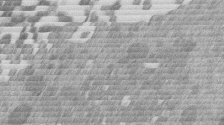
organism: Mouse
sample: Dividing mouse embryo 1 cell stage